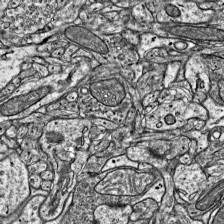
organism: Mouse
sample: Visual Cortex